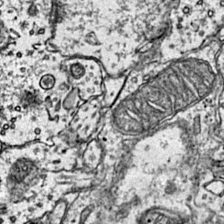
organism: Mouse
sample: Primary visual cortex